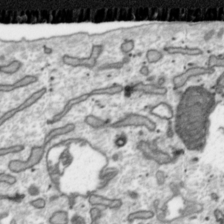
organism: Toxoplasma gondii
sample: Parasites in a vacuole inside a host cell